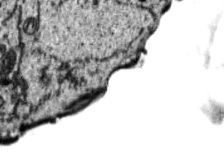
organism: Human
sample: HeLa cells